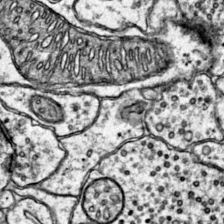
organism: Mouse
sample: Primary visual cortex